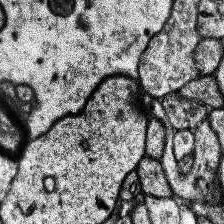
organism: Human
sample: Temporal Lobe